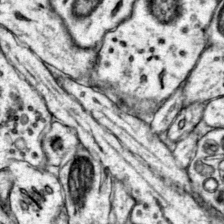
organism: Mouse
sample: Primary visual cortex